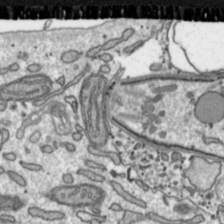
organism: Toxoplasma gondii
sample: Parasites in a vacuole inside a host cell